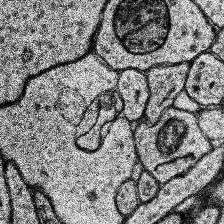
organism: Human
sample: Temporal Lobe